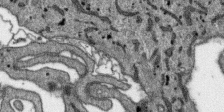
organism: Human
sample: Lung epithelial cells, uninfected (mock) control